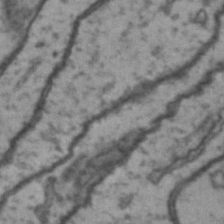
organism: Drosophila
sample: Brain